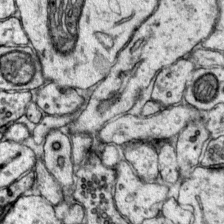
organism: Mouse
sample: Primary visual cortex